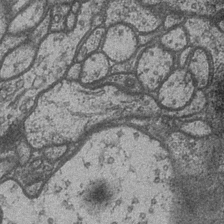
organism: Drosophila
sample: Optic medulla